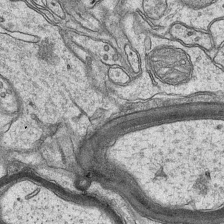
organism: Mouse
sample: CA1 Hippocampus